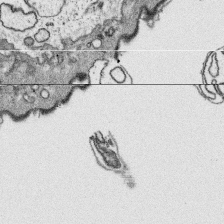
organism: Platynereis dumerilii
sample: Parapodia